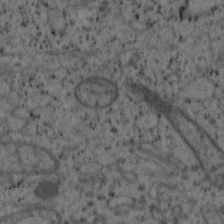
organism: Human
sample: HeLa cells